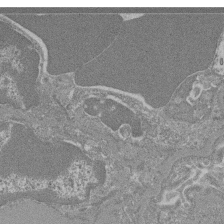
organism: Mouse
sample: Glomerulus